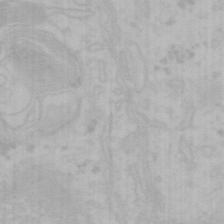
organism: Mouse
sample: Choroid plexus